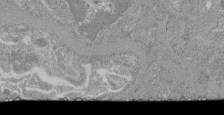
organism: Mouse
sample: Glomerulus